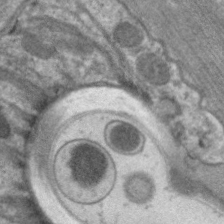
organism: C. elegans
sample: Pharynx